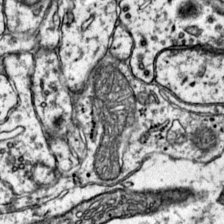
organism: Mouse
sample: Primary visual cortex